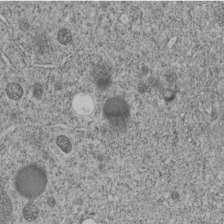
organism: C. elegans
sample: C. elegans embryo early stage